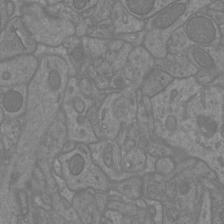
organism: Mouse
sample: Cortical neurons